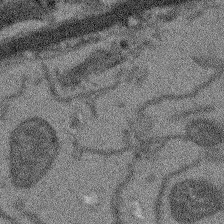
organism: Arabidopsis thaliana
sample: Root tip